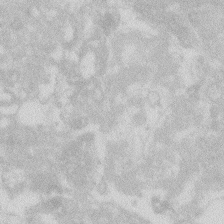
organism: Zebrafish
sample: Macrophage